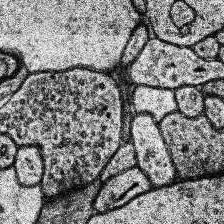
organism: Human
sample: Temporal Lobe